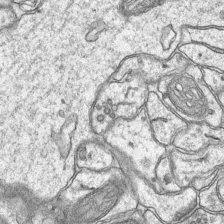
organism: Mouse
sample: CA1 Hippocampus